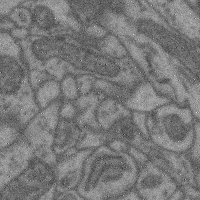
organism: Mouse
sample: Cerebral cortex